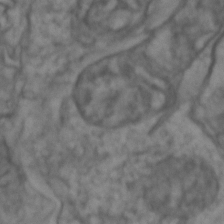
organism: Zebrafish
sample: Zebrafish embryo